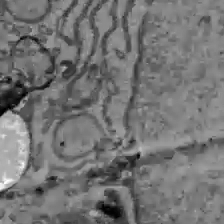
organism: C57BL Mouse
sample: Liver